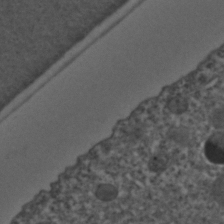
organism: C. elegans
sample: C. elegans embryo